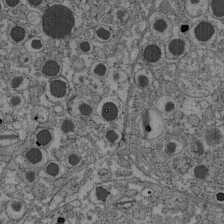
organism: C57BL Mouse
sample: Pancreatic islet